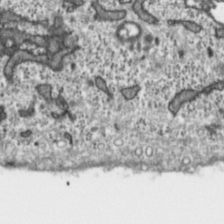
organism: Toxoplasma gondii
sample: Parasites in a vacuole inside a host cell